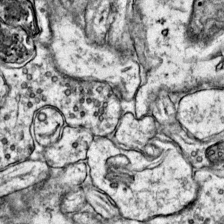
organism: Mouse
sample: Primary visual cortex